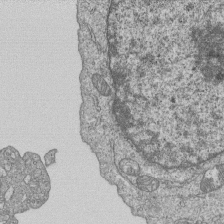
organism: Human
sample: MDA-MB-231 cells